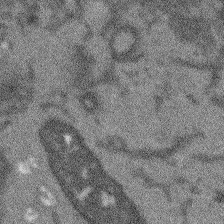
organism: Arabidopsis thaliana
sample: Root tip